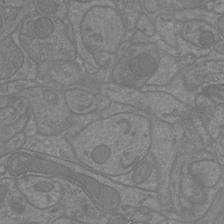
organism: Mouse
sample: Cortical neurons